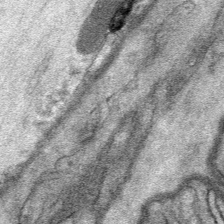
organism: Mouse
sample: Mouse Salivary gland